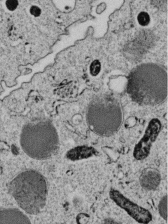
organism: C. elegans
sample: C. elegans embryo early stage